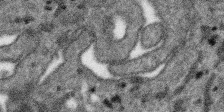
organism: Human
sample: Lung epithelial cells infected with SARS-CoV-2